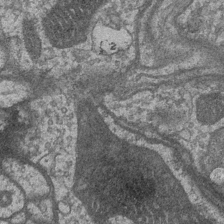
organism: Drosophila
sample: Optic medulla